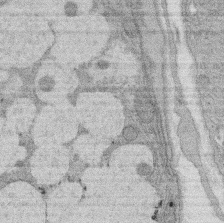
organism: Rat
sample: Salivary granule